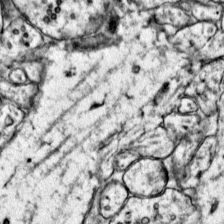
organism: Mouse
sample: Primary visual cortex